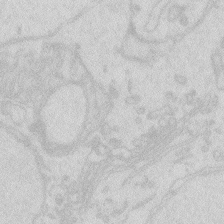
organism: Zebrafish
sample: Macrophage